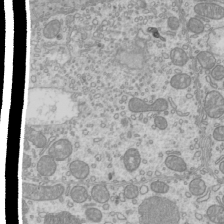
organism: Mouse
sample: Cilia; mouse epididymis